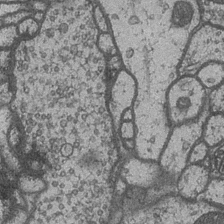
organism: Drosophila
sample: Optic medulla